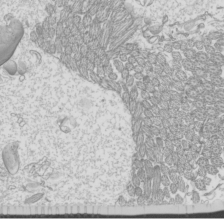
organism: Mouse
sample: Cilia; mouse epididymis